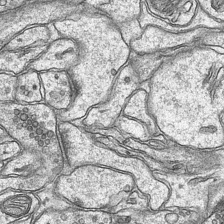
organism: Mouse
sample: CA1 Hippocampus